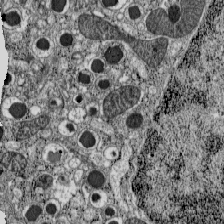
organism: C57BL Mouse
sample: Pancreatic islet